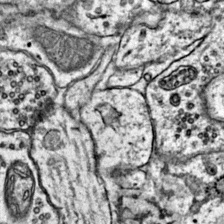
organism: Mouse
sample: Primary visual cortex